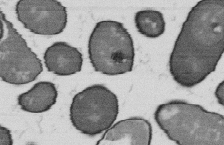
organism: B. subtilis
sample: Bacterial spore